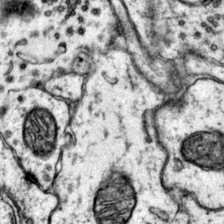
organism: Mouse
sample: Primary visual cortex